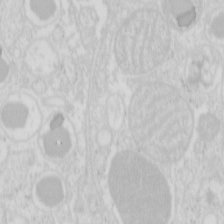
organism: Mouse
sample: Pancreas